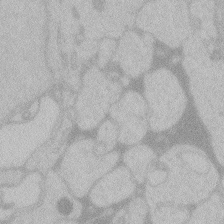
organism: Zebrafish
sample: Macrophage infected with Toxoplasma gondii